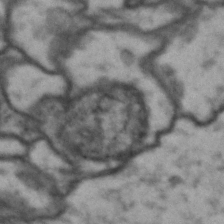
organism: Drosophila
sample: Brain